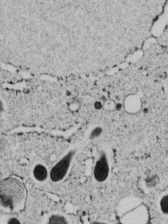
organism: C. elegans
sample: C. elegans embryo early stage